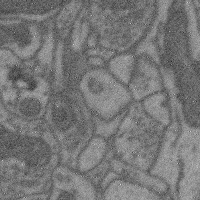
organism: Mouse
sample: Cerebral cortex